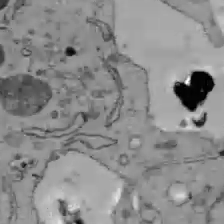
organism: C57BL Mouse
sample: Liver